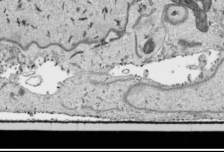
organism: Human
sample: Mitochondria in HCT116 cells